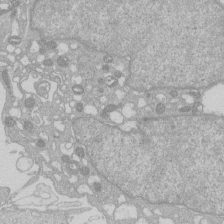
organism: Human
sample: Macrophage cells